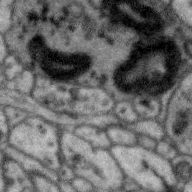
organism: Zebra finch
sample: Brain